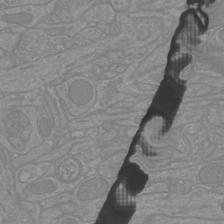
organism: Mouse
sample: Cortical neurons